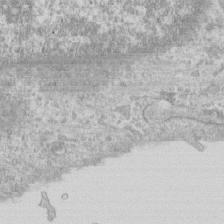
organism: Human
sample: CRL-1474